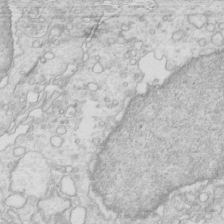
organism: Mouse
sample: Multiciliated cells